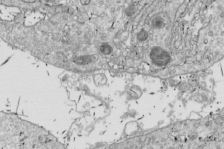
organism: Drosophila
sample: Cell division; meiosis; drosophila spermatocytes